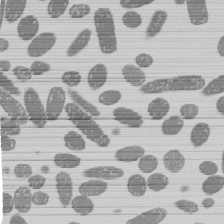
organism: E. coli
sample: Bacterial nucleoid